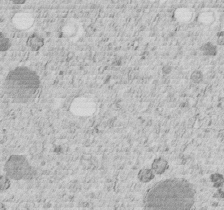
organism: C. elegans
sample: C. elegans embryo early stage